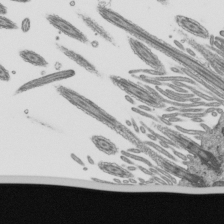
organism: Mouse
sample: Mouse epididymis efferent ductule cilia